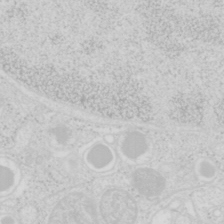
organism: Mouse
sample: Pancreas